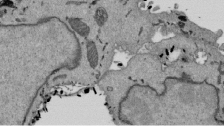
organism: Mouse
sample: ED-1 cell nuclei; centrioles